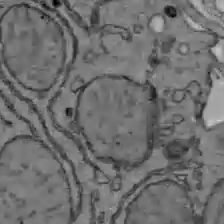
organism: C57BL Mouse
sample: Liver